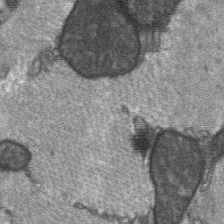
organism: C57BL Mouse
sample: Soleus